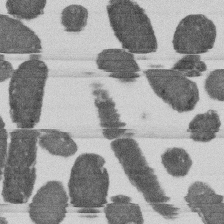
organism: E. coli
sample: Bacterial nucleoid